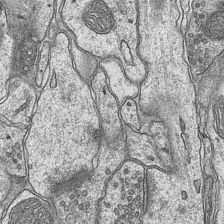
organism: Mouse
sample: CA1 Hippocampus